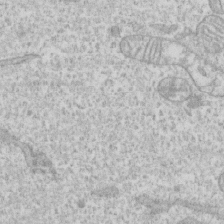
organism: Human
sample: CRL-1474